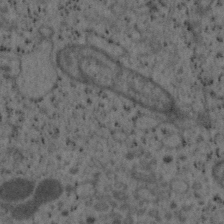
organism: Human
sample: HeLa cells